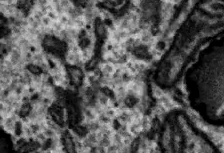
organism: Human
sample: HeLa cells